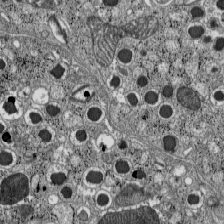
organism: C57BL Mouse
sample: Pancreatic islet